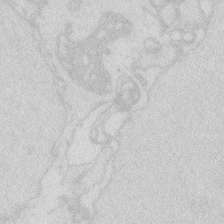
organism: Zebrafish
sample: Macrophage